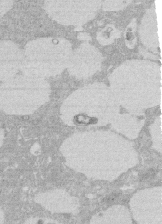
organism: Rat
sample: Salivary granule